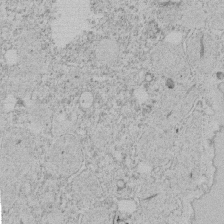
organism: Tetrahymena